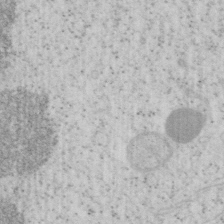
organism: Human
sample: HeLa cells